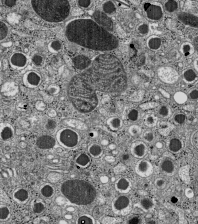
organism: C57BL Mouse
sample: Pancreatic islet